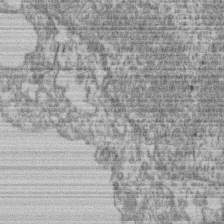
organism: Mouse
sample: T cell stromal cell synapse